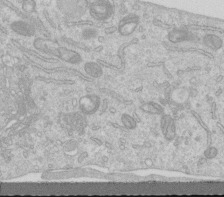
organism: Human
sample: Centriole in RPE cells